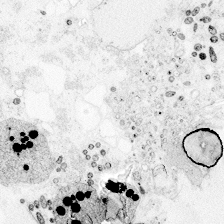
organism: Zebrafish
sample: Whole-Brain